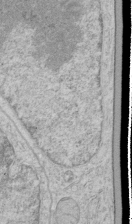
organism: Human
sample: Mitochondria in HCT116 cells